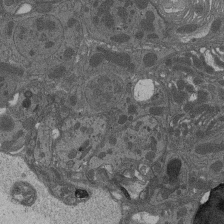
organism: Drosophila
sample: Antenna